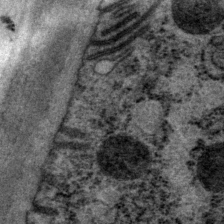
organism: P. pacificus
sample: Pharynx